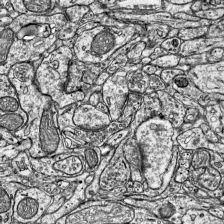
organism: Mouse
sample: Visual Cortex